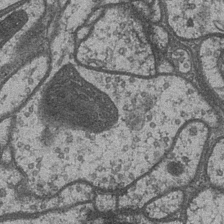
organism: Drosophila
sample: Optic medulla